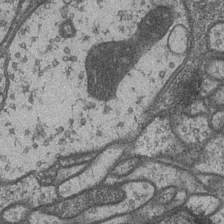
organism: Drosophila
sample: Optic medulla